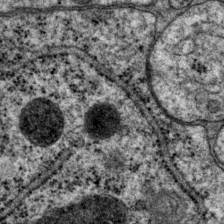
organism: P. pacificus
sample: Pharynx